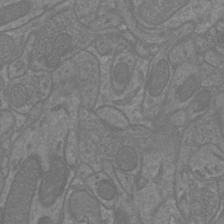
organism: Mouse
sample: Cortical neurons